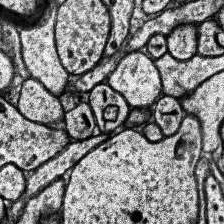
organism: Human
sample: Temporal Lobe